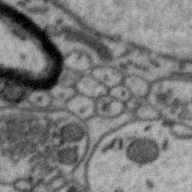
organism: Zebra finch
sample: Brain